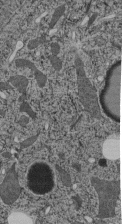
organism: C. elegans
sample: C. elegans pharynx